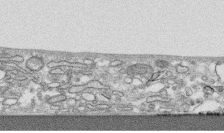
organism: Human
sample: CRL-1474